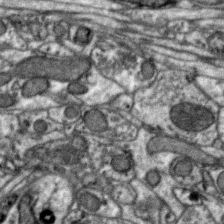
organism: Zebra finch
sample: Brain